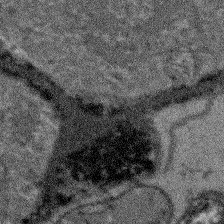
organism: Arabidopsis thaliana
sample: Root tip